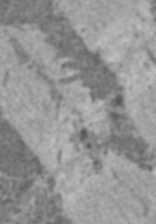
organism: C57BL Mouse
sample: Heart